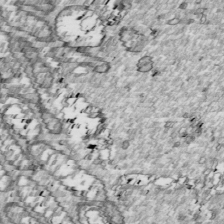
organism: Drosophila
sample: Cell division; meiosis; drosophila spermatocytes